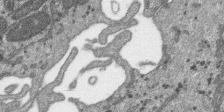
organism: Human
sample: Lung epithelial cells infected with SARS-CoV-2